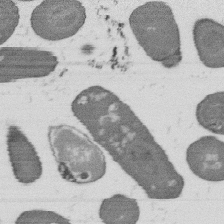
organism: B. subtilis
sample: Bacterial spore